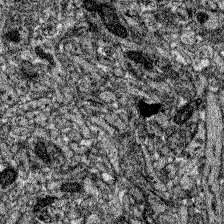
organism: Zebrafish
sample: Larval olfactory bulb